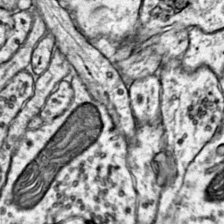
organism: Mouse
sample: Primary visual cortex